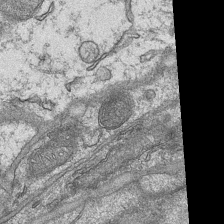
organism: Mouse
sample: CA1 Hippocampus